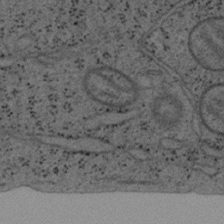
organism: Human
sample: HeLa cells